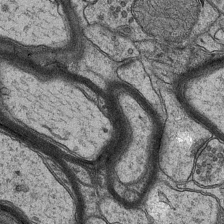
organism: Mouse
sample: CA1 Hippocampus